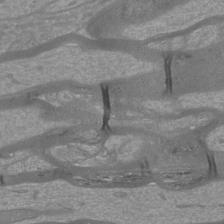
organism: Mouse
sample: Cortical neurons